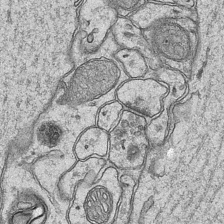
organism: Mouse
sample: CA1 Hippocampus